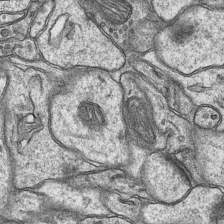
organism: Mouse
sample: CA1 Hippocampus